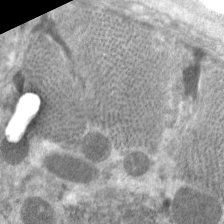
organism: C. elegans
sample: Pharynx